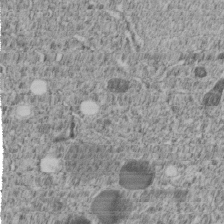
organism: C. elegans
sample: C. elegans embryo early stage